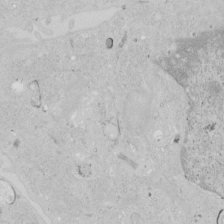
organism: Human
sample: Mitochondria in HCT116 cells